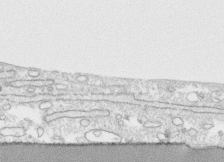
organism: Human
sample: CRL-1474